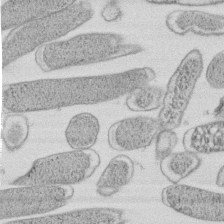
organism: E. coli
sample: Bacterial nucleoid